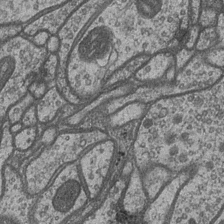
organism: Drosophila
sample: Optic medulla